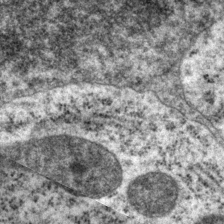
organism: P. pacificus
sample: Pharynx